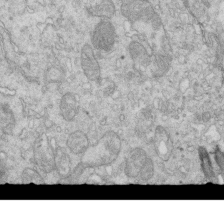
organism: Mouse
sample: Multiciliated cells